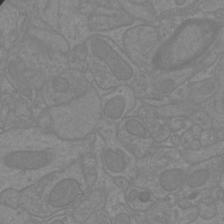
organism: Mouse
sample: Cortical neurons